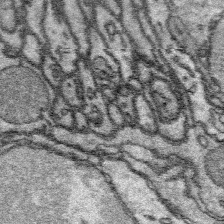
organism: Platynereis dumerilii